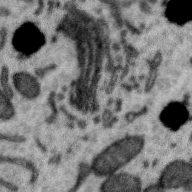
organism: Zebra finch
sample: Brain